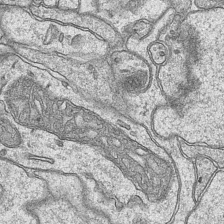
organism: Mouse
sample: CA1 Hippocampus